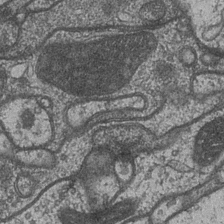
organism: Drosophila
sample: Optic medulla